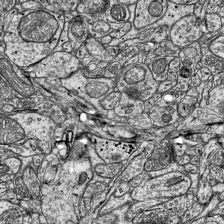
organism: Mouse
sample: Visual Cortex